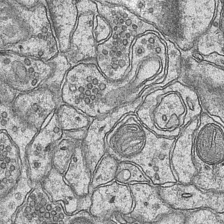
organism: Mouse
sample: CA1 Hippocampus